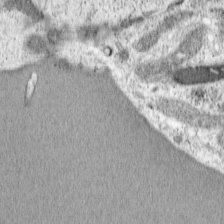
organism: African green monkey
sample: COS-7 cells